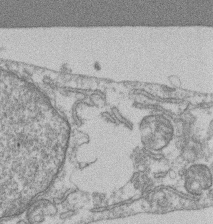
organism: Mouse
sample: T cell stromal cell synapse